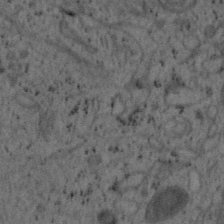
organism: Human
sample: HeLa cells